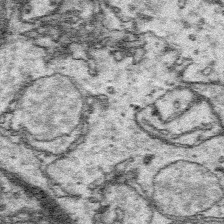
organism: Platynereis dumerilii